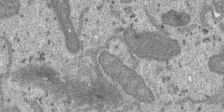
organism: Human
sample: Lung epithelial cells infected with SARS-CoV-2